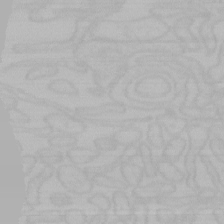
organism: Mouse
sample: Choroid plexus